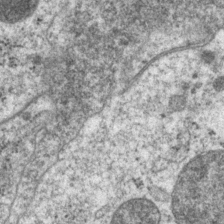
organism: P. pacificus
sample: Pharynx